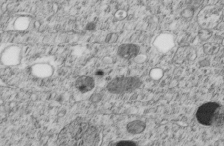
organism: C. elegans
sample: C. elegans embryo early stage